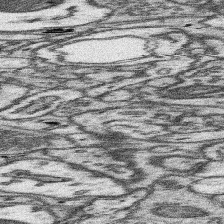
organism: Mouse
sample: Somatosensory cortex neuropil